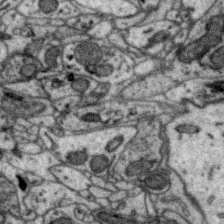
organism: Zebra finch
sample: Brain